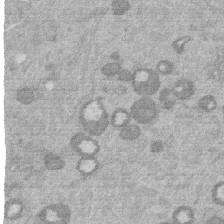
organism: Mouse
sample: Dividing mouse embryo 1 cell stage